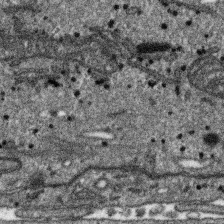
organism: Human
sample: Lung epithelial cells infected with SARS-CoV-2